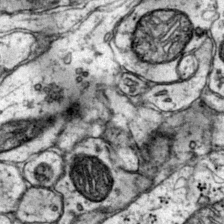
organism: Mouse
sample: Primary visual cortex